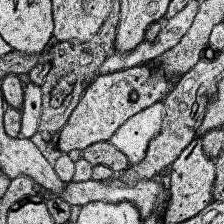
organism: Human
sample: Temporal Lobe